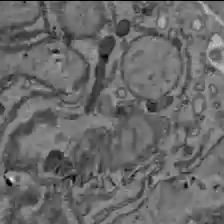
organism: C57BL Mouse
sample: Liver